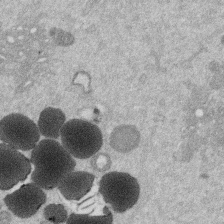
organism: Mouse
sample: Dividing mouse embryo 1 cell stage